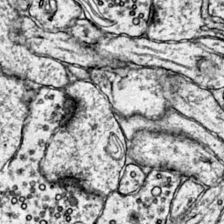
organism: Mouse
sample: Primary visual cortex